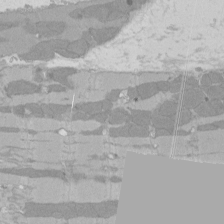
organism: Rat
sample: Left ventricle